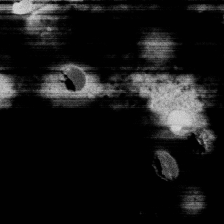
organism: C. elegans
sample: C. elegans oocyte; sperm cells